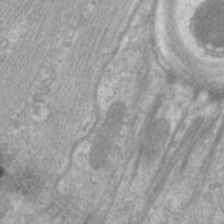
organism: C. elegans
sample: Pharynx